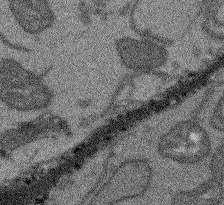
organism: Arabidopsis thaliana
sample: Root tip